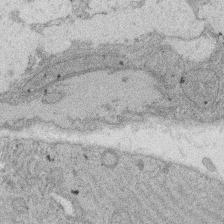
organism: Rat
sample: Salivary granule